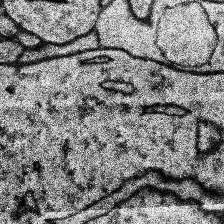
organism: Human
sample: Temporal Lobe